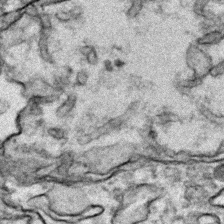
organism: Zebrafish